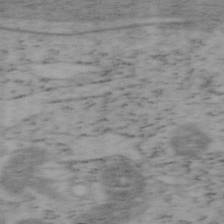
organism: Mouse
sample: OT-I killer T cells with ID8 ovarian cancer cells